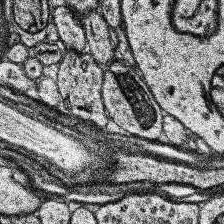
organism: Human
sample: Temporal Lobe